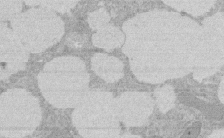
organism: Rat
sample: Salivary granule